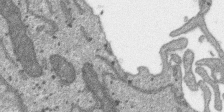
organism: Human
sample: Lung epithelial cells infected with SARS-CoV-2